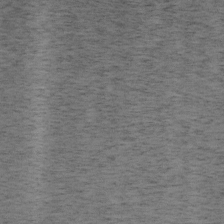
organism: Mouse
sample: OT-I killer T cells with ID8 ovarian cancer cells